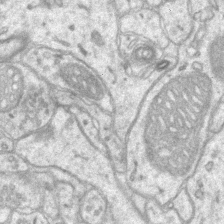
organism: Mouse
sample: CA1 Hippocampus